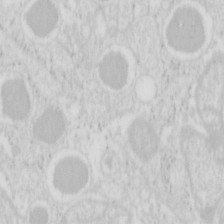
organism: Mouse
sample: Pancreas